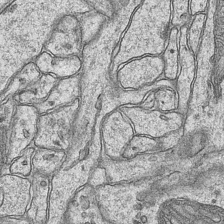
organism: Mouse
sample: CA1 Hippocampus